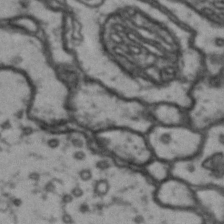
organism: Drosophila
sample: Brain